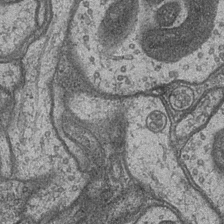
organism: Drosophila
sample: Optic medulla